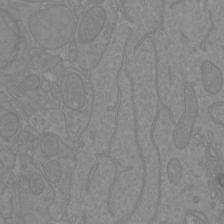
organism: Mouse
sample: Cortical neurons